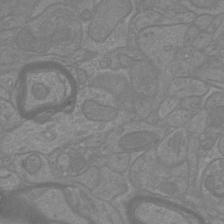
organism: Mouse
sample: Cortical neurons